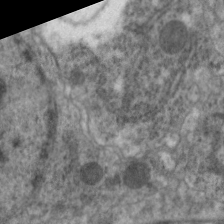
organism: C. elegans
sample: Pharynx